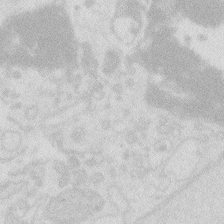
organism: Zebrafish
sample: Macrophage